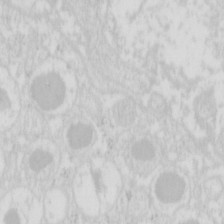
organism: Mouse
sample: Pancreas